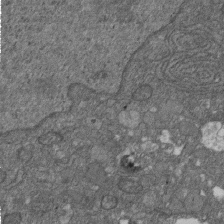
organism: Drosophila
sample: Nephrocyte